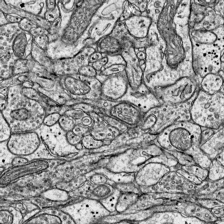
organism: Mouse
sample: Visual Cortex